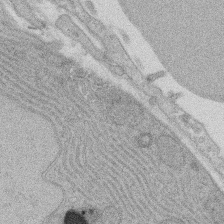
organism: Rat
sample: Salivary granule